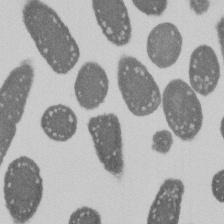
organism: E. coli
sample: Bacterial nucleoid